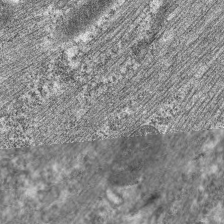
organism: C. elegans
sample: Pharynx